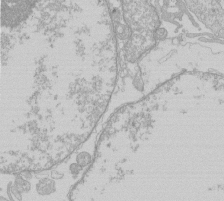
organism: Human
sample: Macrophage cells